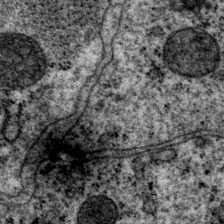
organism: P. pacificus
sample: Pharynx